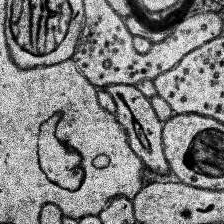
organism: Human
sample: Temporal Lobe